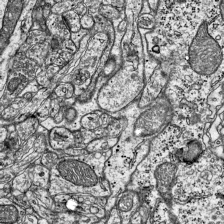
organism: Mouse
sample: Visual Cortex